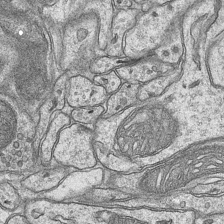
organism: Mouse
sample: CA1 Hippocampus